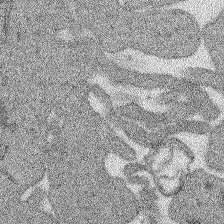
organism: Human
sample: HeLa cells